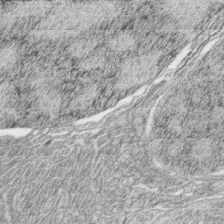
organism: Zebrafish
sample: synaptic ribbons in rod cells and cone cells